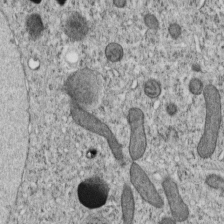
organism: C. elegans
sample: C. elegans embryo early stage